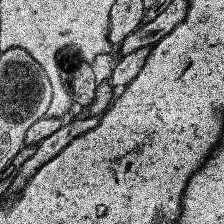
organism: Human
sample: Temporal Lobe